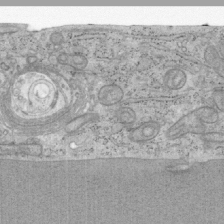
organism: Human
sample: HeLa cells